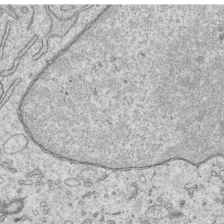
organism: Human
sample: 1205lu cells